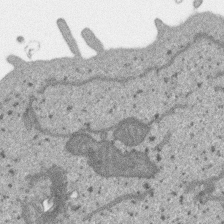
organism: Human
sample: Lung epithelial cells infected with SARS-CoV-2